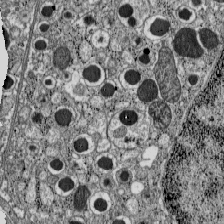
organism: C57BL Mouse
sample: Pancreatic islet